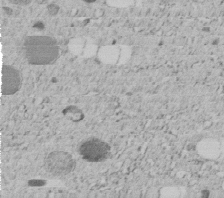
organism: C. elegans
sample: C. elegans embryo early stage